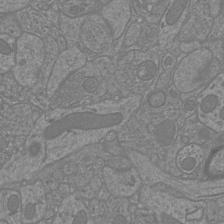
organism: Mouse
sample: Cortical neurons